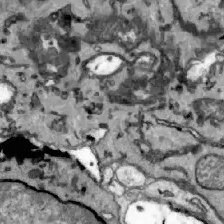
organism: Zebrafish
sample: Actinotrichia fibers